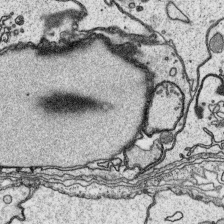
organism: Platynereis dumerilii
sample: Parapodia